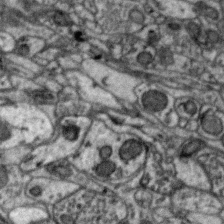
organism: Zebra finch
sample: Brain